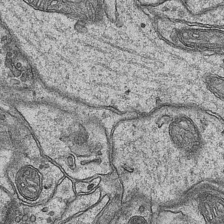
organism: Mouse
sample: CA1 Hippocampus